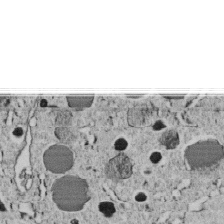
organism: C. elegans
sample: C. elegans embryo early stage